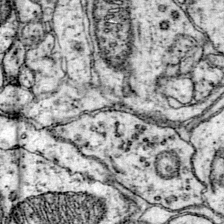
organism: Mouse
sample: Primary visual cortex